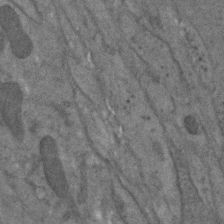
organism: C. elegans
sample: C. elegans embryo